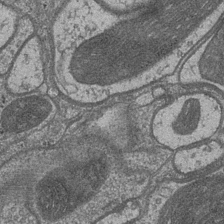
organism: Drosophila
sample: Optic medulla